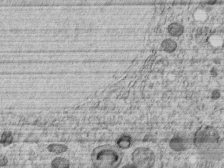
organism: C. elegans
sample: C. elegans embryo early stage